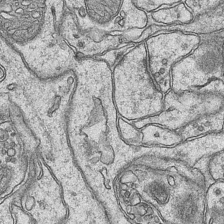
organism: Mouse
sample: CA1 Hippocampus